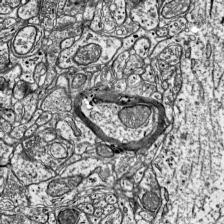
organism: Mouse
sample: Visual Cortex